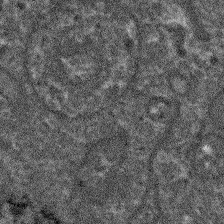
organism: Arabidopsis thaliana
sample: Root tip